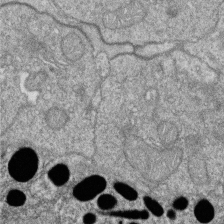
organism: Zebrafish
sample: Cilia; retinal pigment epithelium